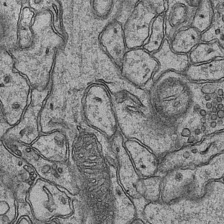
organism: Mouse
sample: CA1 Hippocampus